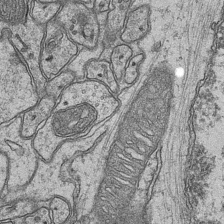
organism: Mouse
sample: CA1 Hippocampus